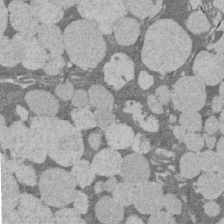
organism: Rat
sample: Salivary granule